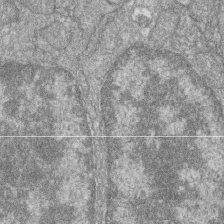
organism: Zebrafish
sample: Cilia; retinal pigment epithelium